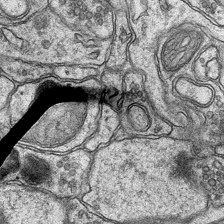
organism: Mouse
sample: CA1 Hippocampus